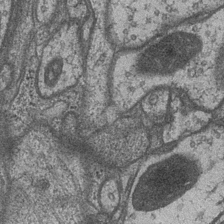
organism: Drosophila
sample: Optic medulla